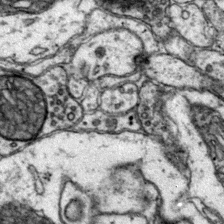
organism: Mouse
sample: Primary visual cortex